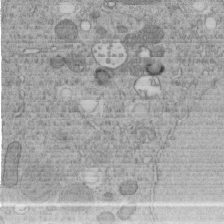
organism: C. elegans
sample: C. elegans embryo early stage